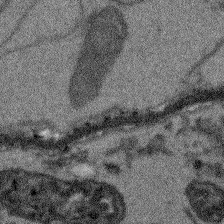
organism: Arabidopsis thaliana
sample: Root tip